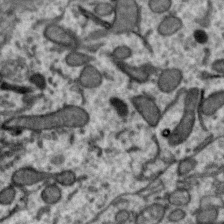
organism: Zebra finch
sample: Brain